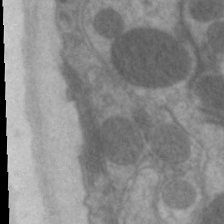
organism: C. elegans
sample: Pharynx